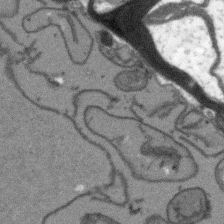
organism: Arabidopsis thaliana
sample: Root tip